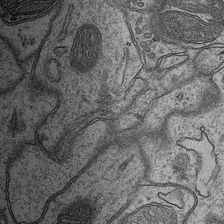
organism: Mouse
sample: CA1 Hippocampus